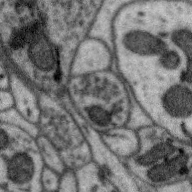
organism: Zebra finch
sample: Brain